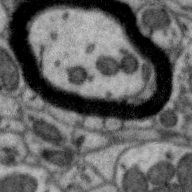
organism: Zebra finch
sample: Brain